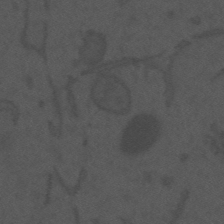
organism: Mouse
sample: Suprachiasmatic nucleus